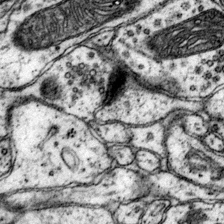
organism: Mouse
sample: Primary visual cortex